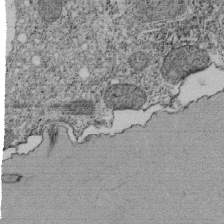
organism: Tetrahymena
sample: Cilia in tetrahymena